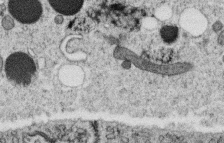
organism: C. elegans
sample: C. elegans oocyte; sperm cells